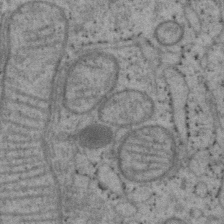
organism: Human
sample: HeLa cells